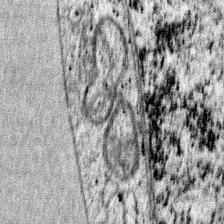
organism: Human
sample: HeLa cells